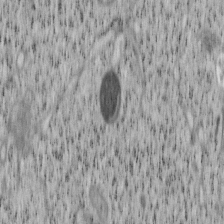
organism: Human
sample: HeLa cells